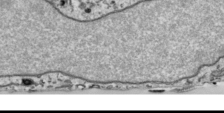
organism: Human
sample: Mitochondria in HCT116 cells